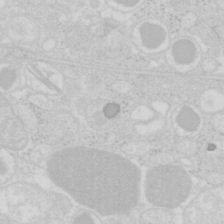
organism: Mouse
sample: Pancreas